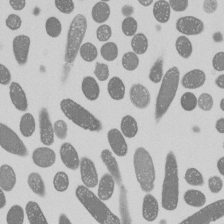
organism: E. coli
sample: Bacterial nucleoid